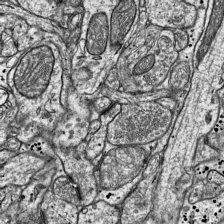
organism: Mouse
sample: Visual Cortex